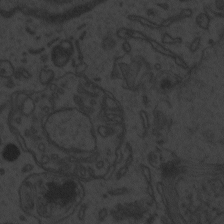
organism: Zebrafish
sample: Macrophage infected with Toxoplasma gondii